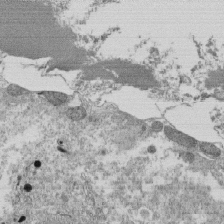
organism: Tetrahymena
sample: Cilia in tetrahymena